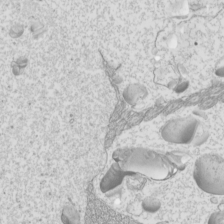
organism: Mouse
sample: Cilia; mouse epididymis